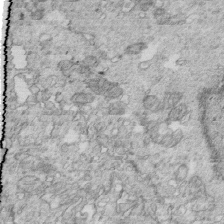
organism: Mouse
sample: Multiciliated cells